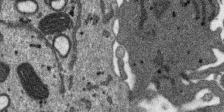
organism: Human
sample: Lung epithelial cells infected with SARS-CoV-2